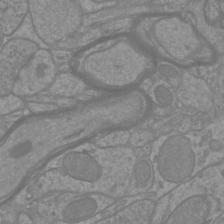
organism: Mouse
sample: Cortical neurons